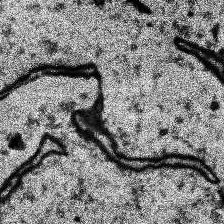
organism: Human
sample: Temporal Lobe